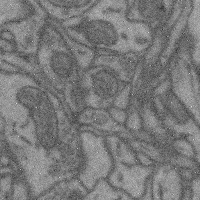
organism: Mouse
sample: Cerebral cortex